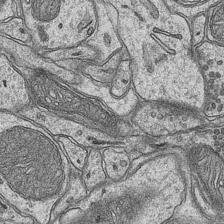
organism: Mouse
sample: CA1 Hippocampus